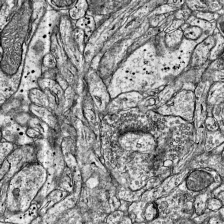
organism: Mouse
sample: Visual Cortex